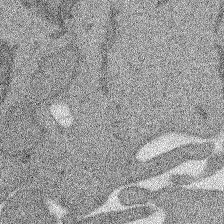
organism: Human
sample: HeLa cells